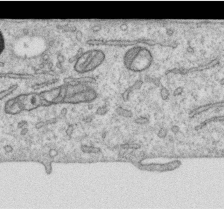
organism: Human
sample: Centriole in RPE cells